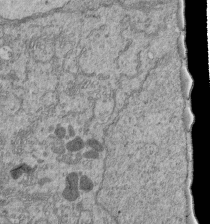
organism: Human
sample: Retinal organoid Rod and Cone cells